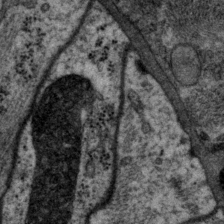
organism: P. pacificus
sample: Pharynx